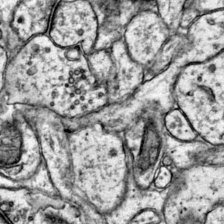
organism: Mouse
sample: Primary visual cortex